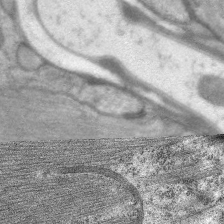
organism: C. elegans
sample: Pharynx